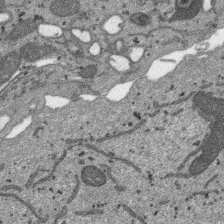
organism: Human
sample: Lung epithelial cells infected with SARS-CoV-2